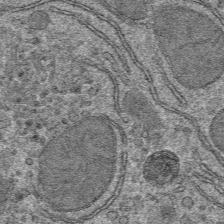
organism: Mouse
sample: Mouse hepatocytes